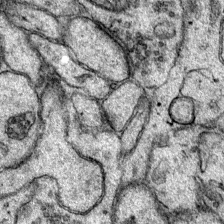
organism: Mouse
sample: Primary visual cortex